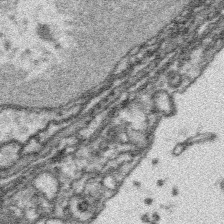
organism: Platynereis dumerilii